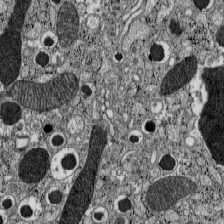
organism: C57BL Mouse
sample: Pancreatic islet